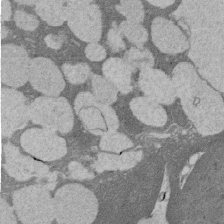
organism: Rat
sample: Salivary granule